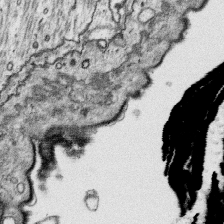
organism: Platynereis dumerilii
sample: Parapodia